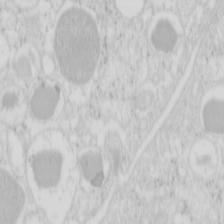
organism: Mouse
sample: Pancreas